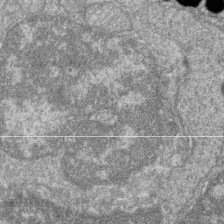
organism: Zebrafish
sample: Cilia; retinal pigment epithelium